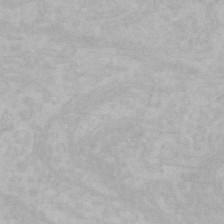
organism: Mouse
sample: Choroid plexus